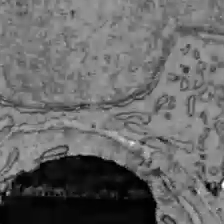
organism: C57BL Mouse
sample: Liver